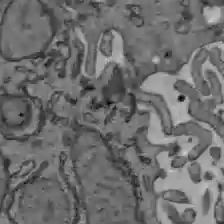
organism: C57BL Mouse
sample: Liver